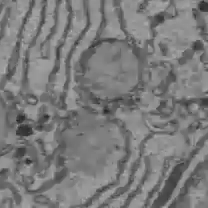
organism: C57BL Mouse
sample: Liver